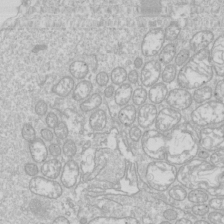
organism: Drosophila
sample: Cell division; meiosis; drosophila spermatocytes